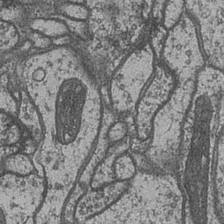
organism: Drosophila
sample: Optic medulla